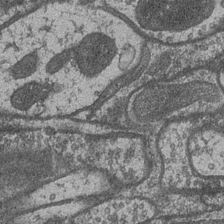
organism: Drosophila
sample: Optic medulla